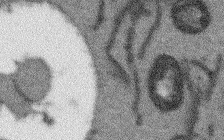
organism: Arabidopsis thaliana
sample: Root tip